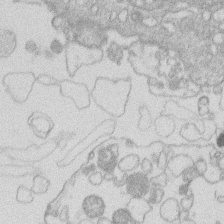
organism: Human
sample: Macrophage cells